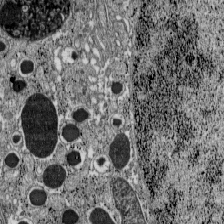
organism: C57BL Mouse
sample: Pancreatic islet